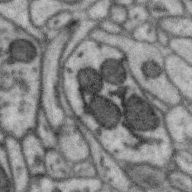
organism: Zebra finch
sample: Brain